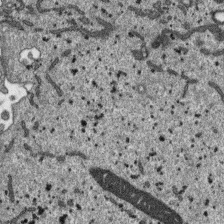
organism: Human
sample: Lung epithelial cells infected with SARS-CoV-2